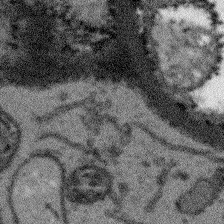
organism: Arabidopsis thaliana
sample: Root tip